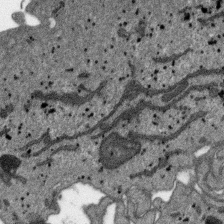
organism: Human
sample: Lung epithelial cells, uninfected (mock) control